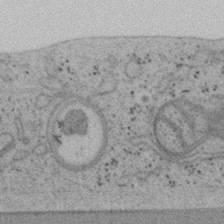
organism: Human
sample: HeLa cells